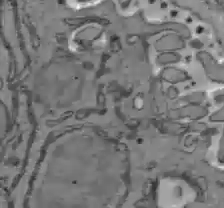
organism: C57BL Mouse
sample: Liver